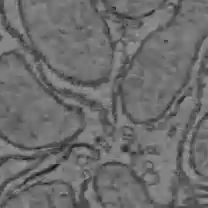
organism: C57BL Mouse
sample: Liver